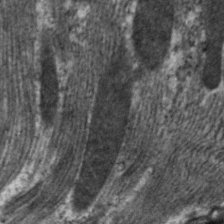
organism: C. elegans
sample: Pharynx